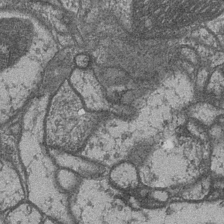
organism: Drosophila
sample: Optic medulla